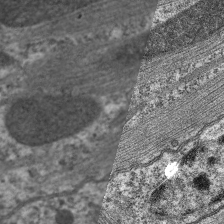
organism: C. elegans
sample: Pharynx